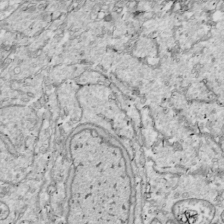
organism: Drosophila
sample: Cell division; meiosis; drosophila spermatocytes